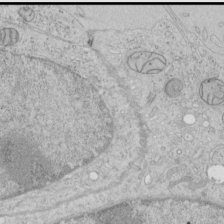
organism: Human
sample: Mitochondria in HCT116 cells